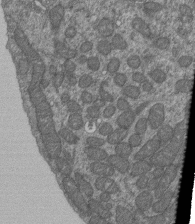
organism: Human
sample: Retinal organoid Rod and Cone cells